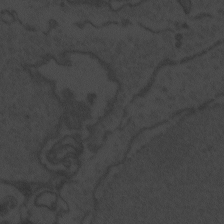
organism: Zebrafish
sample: Macrophage infected with Toxoplasma gondii